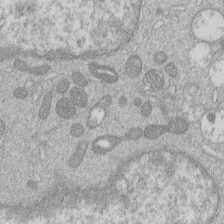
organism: Human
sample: Macrophage cells